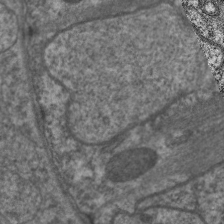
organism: C. elegans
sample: Pharynx